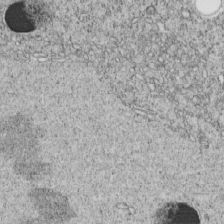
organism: C. elegans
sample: C. elegans embryo early stage